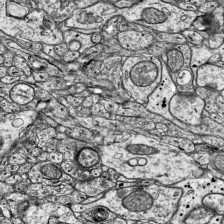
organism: Mouse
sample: Visual Cortex